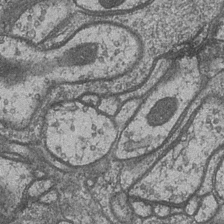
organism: Drosophila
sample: Optic medulla